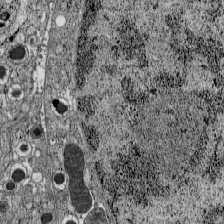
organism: C57BL Mouse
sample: Pancreatic islet